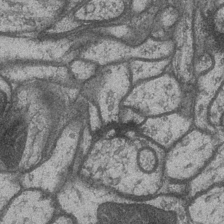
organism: Drosophila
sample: Optic medulla